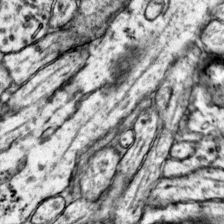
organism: Mouse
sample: Primary visual cortex